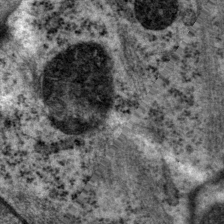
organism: P. pacificus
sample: Pharynx